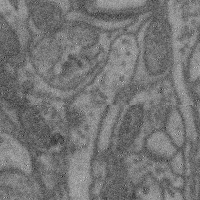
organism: Mouse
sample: Cerebral cortex